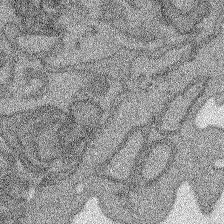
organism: Human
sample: HeLa cells